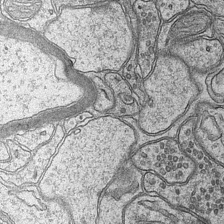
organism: Mouse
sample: CA1 Hippocampus